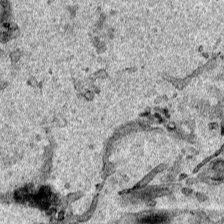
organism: Human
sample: Mitochondria in HCT116 cells